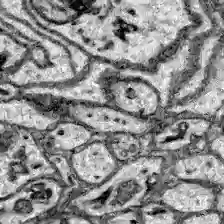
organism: Zebrafish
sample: Brain